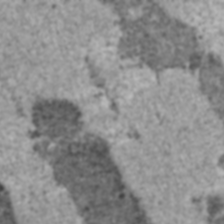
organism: C57BL Mouse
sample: Heart